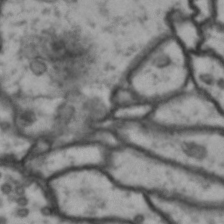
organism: Drosophila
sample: Brain